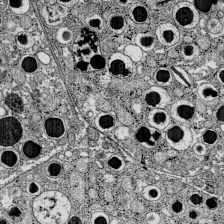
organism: C57BL Mouse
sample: Pancreatic islet